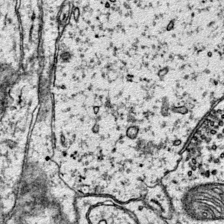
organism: Mouse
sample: Primary visual cortex